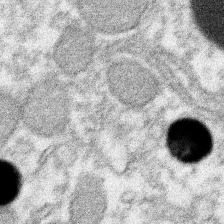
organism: Xenopus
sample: Cilia; centrioles in frog embryo cells